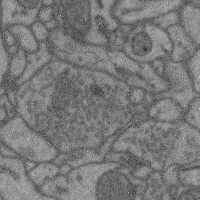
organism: Mouse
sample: Cerebral cortex